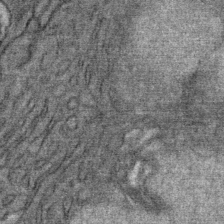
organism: Mouse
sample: Mouse Salivary gland